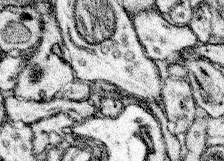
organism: Mouse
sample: Somatosensory cortex neuropil